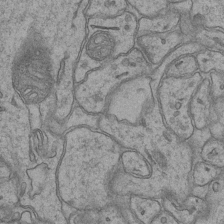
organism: Mouse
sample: CA1 Hippocampus